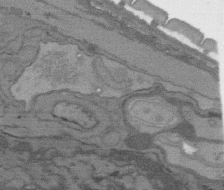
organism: C. elegans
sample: AFD neurons C. elegans